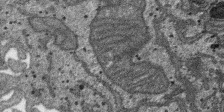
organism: Human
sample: Lung epithelial cells infected with SARS-CoV-2